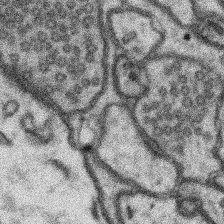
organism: Mouse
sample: Somatosensory cortex neuropil